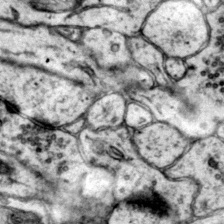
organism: Mouse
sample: Primary visual cortex